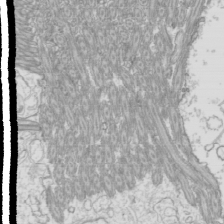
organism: Mouse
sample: Cilia; mouse epididymis